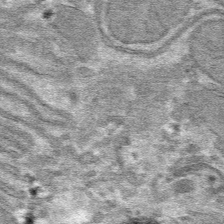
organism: Mouse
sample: Mouse hepatocytes